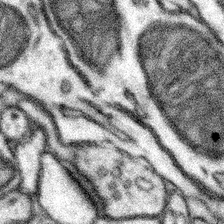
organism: Mouse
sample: Somatosensory cortex neuropil